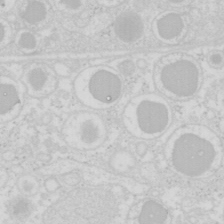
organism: Mouse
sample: Pancreas